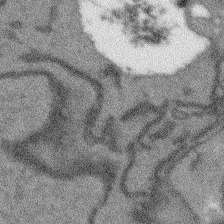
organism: Arabidopsis thaliana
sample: Root tip